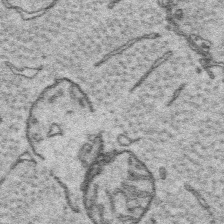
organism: Platynereis dumerilii